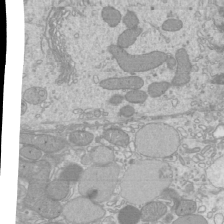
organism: Mouse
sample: Cilia; mouse epididymis